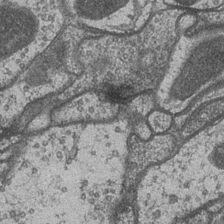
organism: Drosophila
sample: Optic medulla